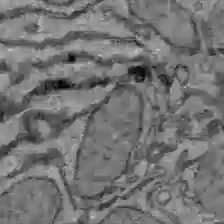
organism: C57BL Mouse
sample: Liver